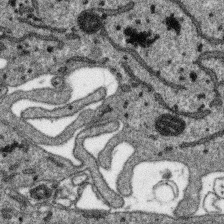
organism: Human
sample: Lung epithelial cells infected with SARS-CoV-2